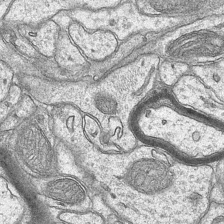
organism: Mouse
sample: CA1 Hippocampus